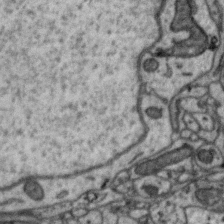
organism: Zebra finch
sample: Brain